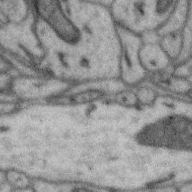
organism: Zebra finch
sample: Brain